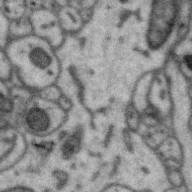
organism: Zebra finch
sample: Brain